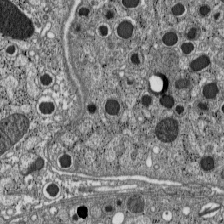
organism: C57BL Mouse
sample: Pancreatic islet